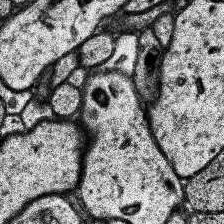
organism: Human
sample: Temporal Lobe